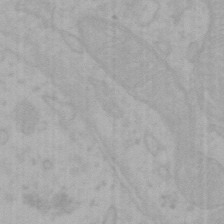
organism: Mouse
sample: Choroid plexus